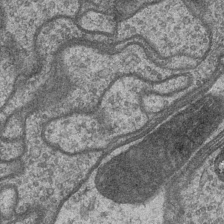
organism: Drosophila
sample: Optic medulla